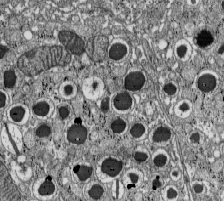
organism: C57BL Mouse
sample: Pancreatic islet